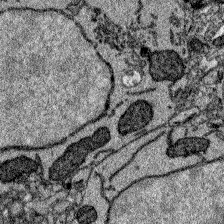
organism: Zebrafish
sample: Larval olfactory bulb